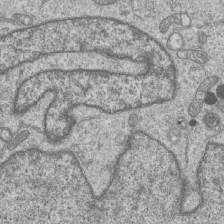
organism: Human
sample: MDA-MB-231 cells